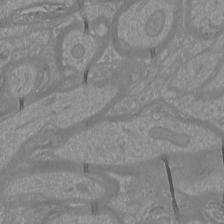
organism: Mouse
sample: Cortical neurons